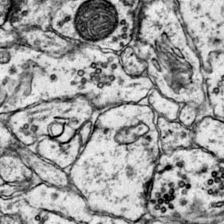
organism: Mouse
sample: Primary visual cortex